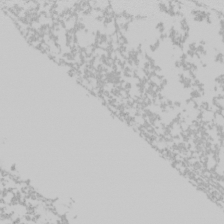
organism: Mouse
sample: Cancer cell death in ED-1 cells